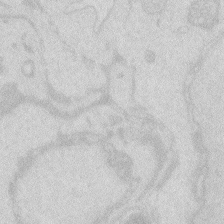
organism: Zebrafish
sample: Macrophage